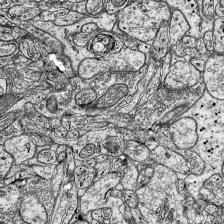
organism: Mouse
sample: Visual Cortex